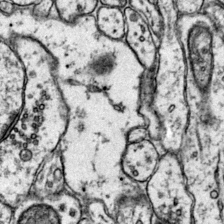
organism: Mouse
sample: Primary visual cortex